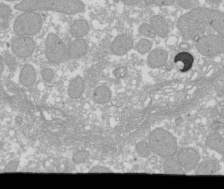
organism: Xenopus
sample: Cilia; centrioles in frog embryo cells